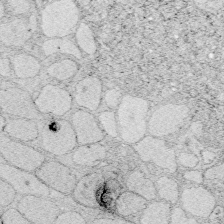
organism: Zebrafish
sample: Whole-Brain